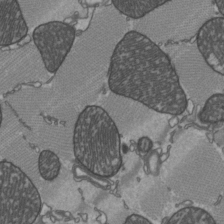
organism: C57BL Mouse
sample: Heart